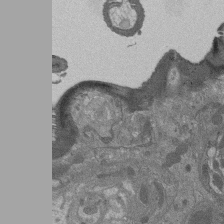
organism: Drosophila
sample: Antenna